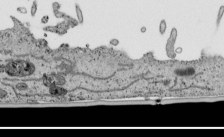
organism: Human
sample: Mitochondria in HCT116 cells